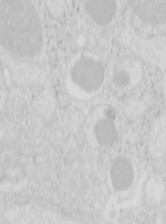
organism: Mouse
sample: Pancreas